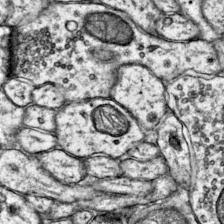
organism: Mouse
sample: Primary visual cortex